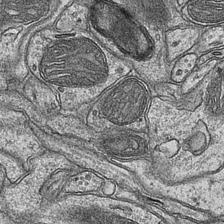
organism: Mouse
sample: CA1 Hippocampus